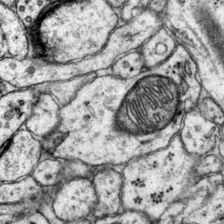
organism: Mouse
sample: Primary visual cortex